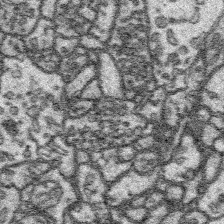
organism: Platynereis dumerilii